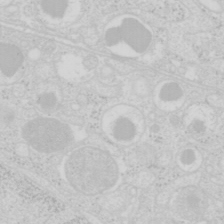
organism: Mouse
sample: Pancreas